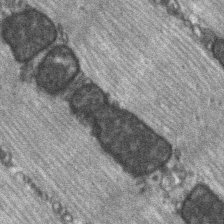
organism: C57BL Mouse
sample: Soleus